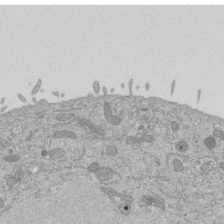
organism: Mouse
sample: ED-1 cell nuclei; centrioles